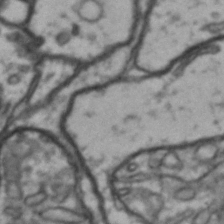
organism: Drosophila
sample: Brain